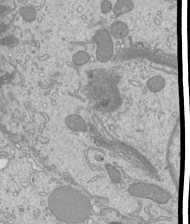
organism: Mouse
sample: Cilia; mouse epididymis